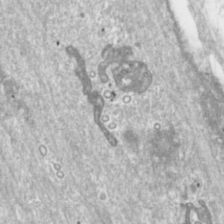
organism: Toxoplasma gondii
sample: Parasites in a vacuole inside a host cell